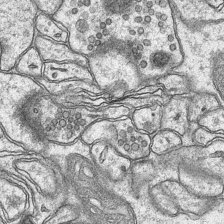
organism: Mouse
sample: CA1 Hippocampus